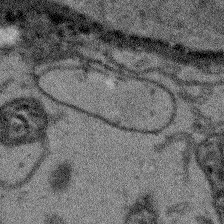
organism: Arabidopsis thaliana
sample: Root tip